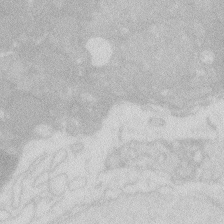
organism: Zebrafish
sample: Macrophage